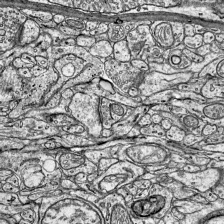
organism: Mouse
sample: Visual Cortex